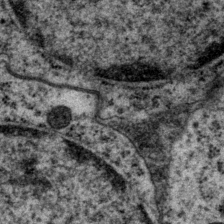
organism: P. pacificus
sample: Pharynx